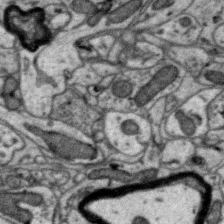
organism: Zebra finch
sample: Brain